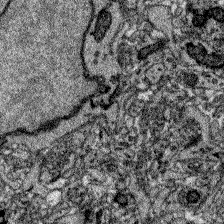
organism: Zebrafish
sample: Larval olfactory bulb